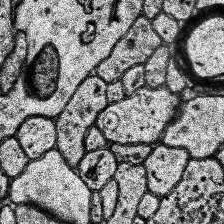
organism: Human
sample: Temporal Lobe